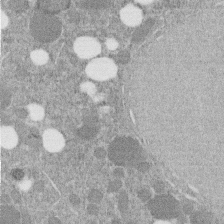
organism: C. elegans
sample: C. elegans embryo early stage